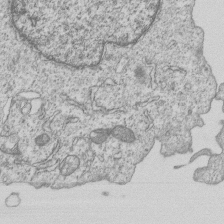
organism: Human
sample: MDA-MB-231 cells